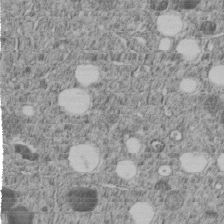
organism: C. elegans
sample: C. elegans embryo early stage